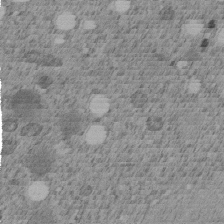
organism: C. elegans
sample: C. elegans embryo early stage